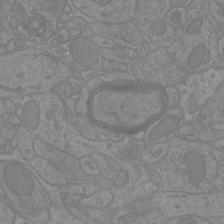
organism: Mouse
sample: Cortical neurons